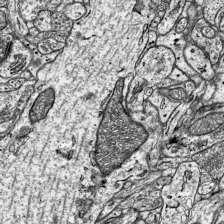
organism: Mouse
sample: Visual Cortex